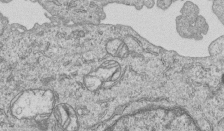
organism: Human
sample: MDA-MB-231 cells